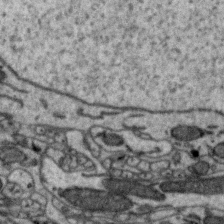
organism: Zebra finch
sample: Brain